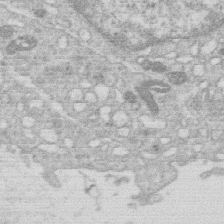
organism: Human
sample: Macrophage cells